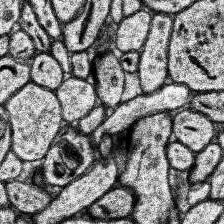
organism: Human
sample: Temporal Lobe